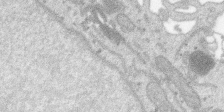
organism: Human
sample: Lung epithelial cells infected with SARS-CoV-2